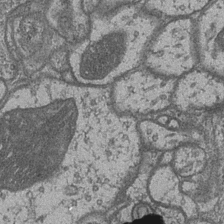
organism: Drosophila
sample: Optic medulla